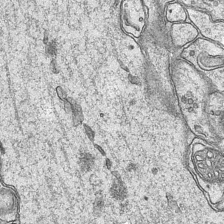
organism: Mouse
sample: CA1 Hippocampus